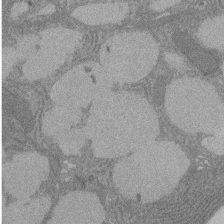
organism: Rat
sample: Salivary granule